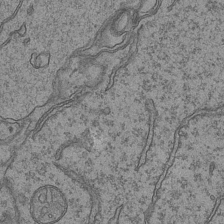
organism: Mouse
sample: CA1 Hippocampus